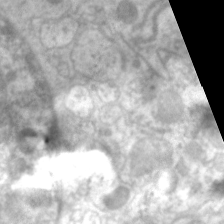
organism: C. elegans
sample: Pharynx